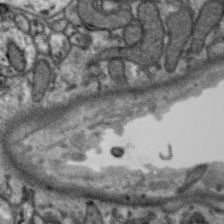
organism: Zebra finch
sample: Brain